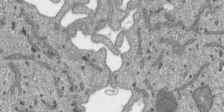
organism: Human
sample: Lung epithelial cells infected with SARS-CoV-2